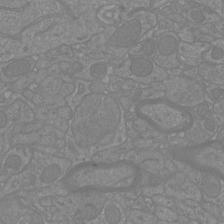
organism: Mouse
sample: Cortical neurons